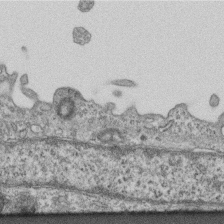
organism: Mouse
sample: Centriole in ependymal cells